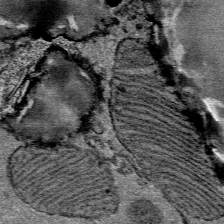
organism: Mouse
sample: Mouse Salivary gland